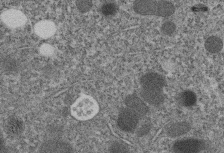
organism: C. elegans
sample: C. elegans embryo early stage